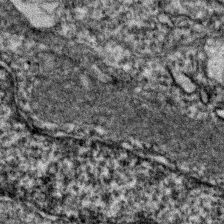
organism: Zebrafish